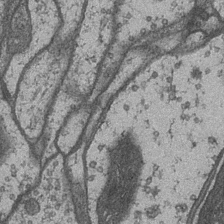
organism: Drosophila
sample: Optic medulla